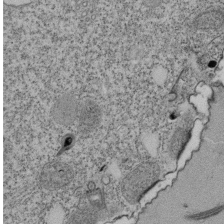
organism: Tetrahymena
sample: Cilia in tetrahymena